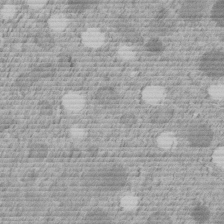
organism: C. elegans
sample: C. elegans embryo early stage